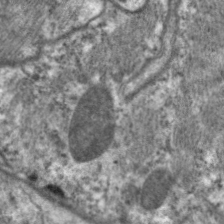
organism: C. elegans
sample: Pharynx